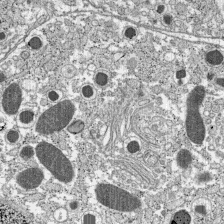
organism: C57BL Mouse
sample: Pancreatic islet